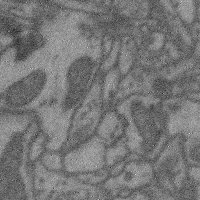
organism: Mouse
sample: Cerebral cortex